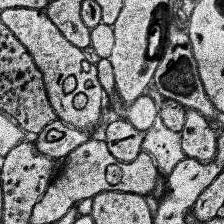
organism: Human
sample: Temporal Lobe